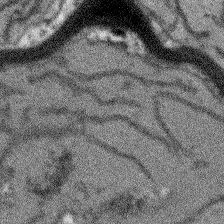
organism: Arabidopsis thaliana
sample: Root tip